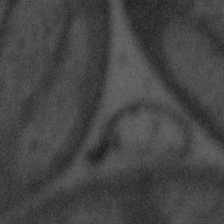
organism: Tuwongella immobilis